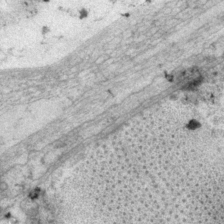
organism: P. pacificus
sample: Pharynx